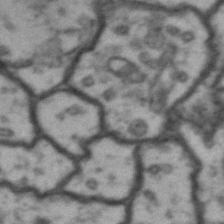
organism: Drosophila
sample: Brain